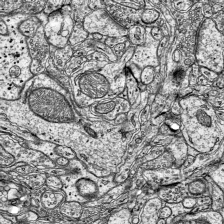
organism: Mouse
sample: Visual Cortex